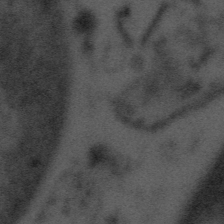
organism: Tuwongella immobilis